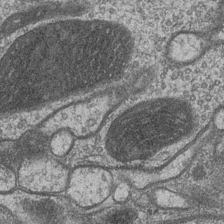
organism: Drosophila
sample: Optic medulla